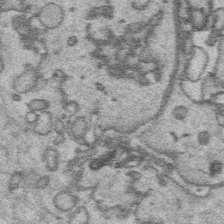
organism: Platynereis dumerilii